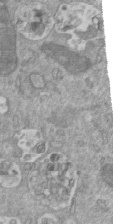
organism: Mouse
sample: ED-1 cell nuclei; centrioles